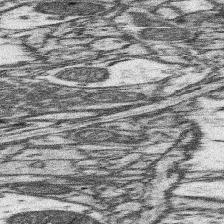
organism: Mouse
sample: Somatosensory cortex neuropil